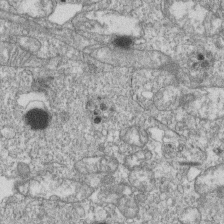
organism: Human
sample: HeLa cell HIV synapse